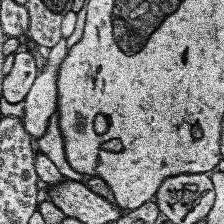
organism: Human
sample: Temporal Lobe